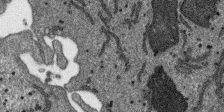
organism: Human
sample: Lung epithelial cells infected with SARS-CoV-2